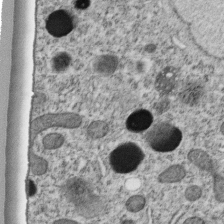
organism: C. elegans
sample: C. elegans embryo early stage